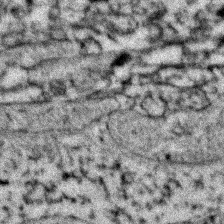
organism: Zebrafish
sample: Zebrafish embryo